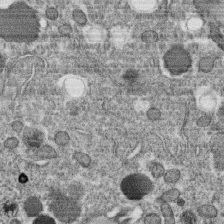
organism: C. elegans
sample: C. elegans oocyte; sperm cells